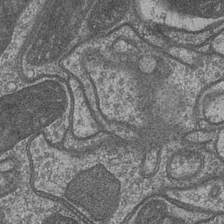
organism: Drosophila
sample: Optic medulla